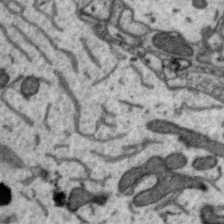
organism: Zebra finch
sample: Brain